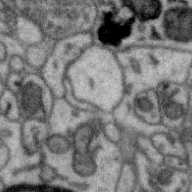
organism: Zebra finch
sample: Brain